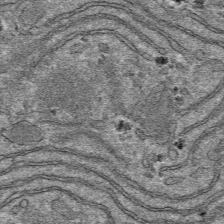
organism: Mouse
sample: Mouse hepatocytes